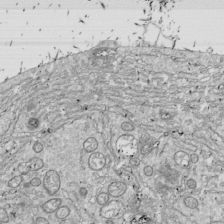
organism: Drosophila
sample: Cell division; meiosis; drosophila spermatocytes